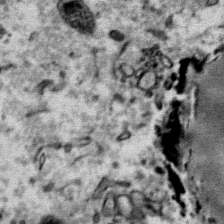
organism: Mouse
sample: Mouse Salivary gland